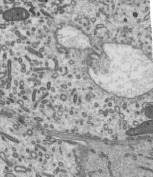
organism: Mouse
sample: Mouse epididymis efferent ductule cilia